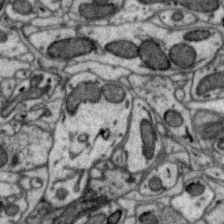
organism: Zebra finch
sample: Brain